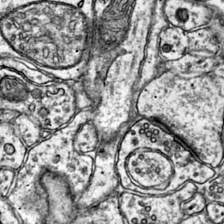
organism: Mouse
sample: Primary visual cortex